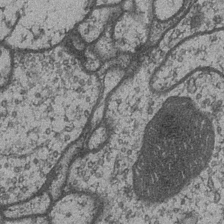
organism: Drosophila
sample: Optic medulla